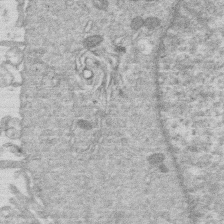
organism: Human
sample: Macrophage cells